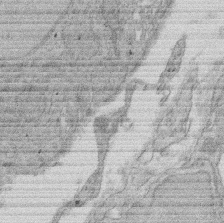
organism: Rat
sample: Salivary granule